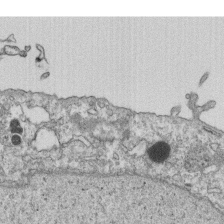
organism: Human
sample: HeLa cell HIV synapse